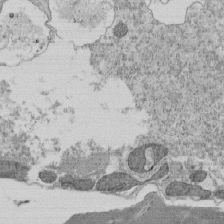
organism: Tetrahymena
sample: Cilia in tetrahymena